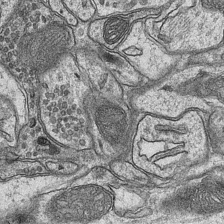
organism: Mouse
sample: CA1 Hippocampus